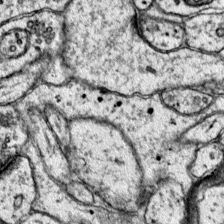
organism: Mouse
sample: Primary visual cortex